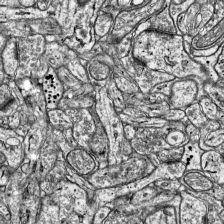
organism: Mouse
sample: Visual Cortex